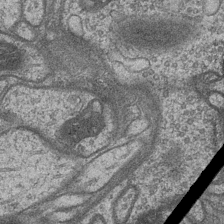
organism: Drosophila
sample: Optic medulla